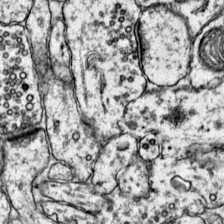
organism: Mouse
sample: Primary visual cortex